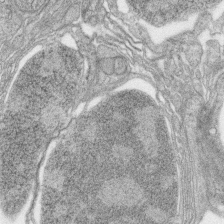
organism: Zebrafish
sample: synaptic ribbons in rod cells and cone cells